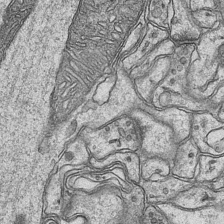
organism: Mouse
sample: CA1 Hippocampus